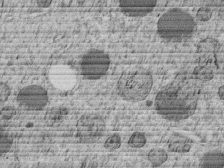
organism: C. elegans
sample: C. elegans embryo early stage